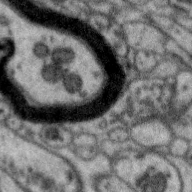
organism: Zebra finch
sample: Brain